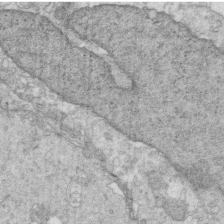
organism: Mouse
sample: Multiciliated cells